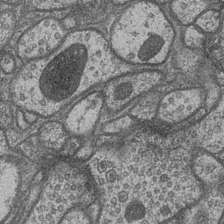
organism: Drosophila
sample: Optic medulla